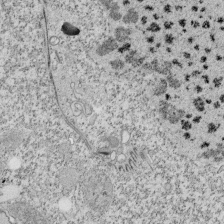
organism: Tetrahymena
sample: Cilia in tetrahymena